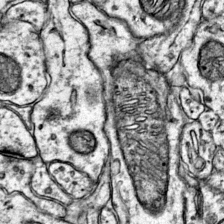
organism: Mouse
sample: Primary visual cortex